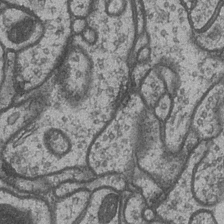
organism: Drosophila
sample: Optic medulla